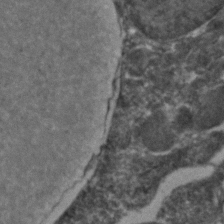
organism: Zebrafish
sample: Zebrafish embryo